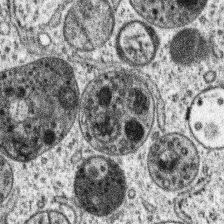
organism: Human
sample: HeLa cells